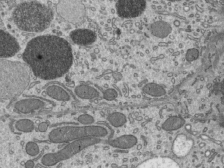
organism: Mouse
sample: Mouse epididymis efferent ductule cilia